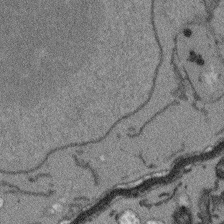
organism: Arabidopsis thaliana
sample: Root tip